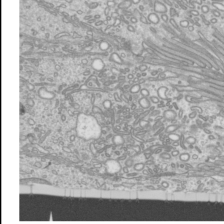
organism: Mouse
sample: Cilia; mouse epididymis